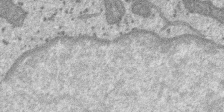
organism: Human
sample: Lung epithelial cells infected with SARS-CoV-2